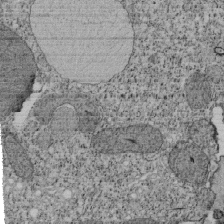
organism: Tetrahymena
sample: Cilia in tetrahymena